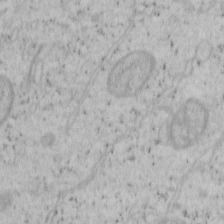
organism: Human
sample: HeLa cells